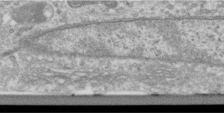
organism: Human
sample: Centriole in RPE cells